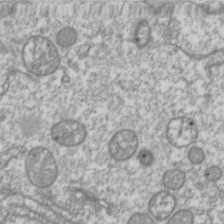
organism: Drosophila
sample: Cell division; meiosis; drosophila spermatocytes